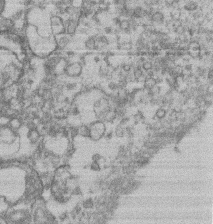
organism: Mouse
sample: T cell stromal cell synapse